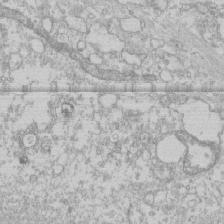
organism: Human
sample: CRL-1474